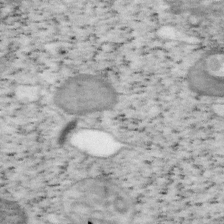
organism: Mouse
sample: OT-I killer T cells with ID8 ovarian cancer cells